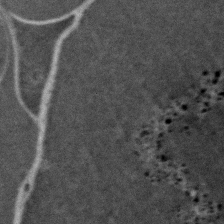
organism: Zebrafish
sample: Zebrafish embryo